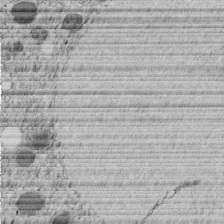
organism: C. elegans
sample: C. elegans embryo early stage